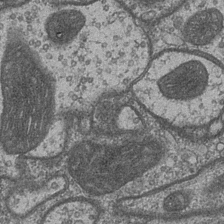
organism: Drosophila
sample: Optic medulla